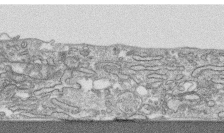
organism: Human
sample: CRL-1474